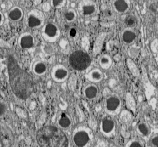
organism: C57BL Mouse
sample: Pancreatic islet